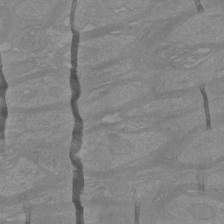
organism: Mouse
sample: Cortical neurons